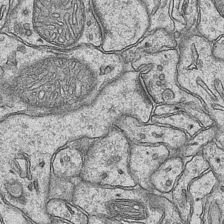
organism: Mouse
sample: CA1 Hippocampus